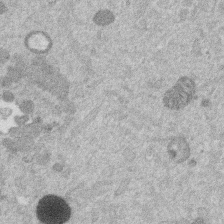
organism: Mouse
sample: Dividing mouse embryo 1 cell stage